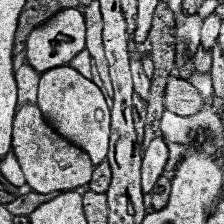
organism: Human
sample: Temporal Lobe